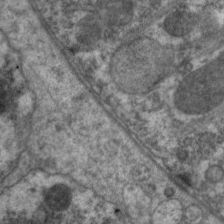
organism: C. elegans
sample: Pharynx